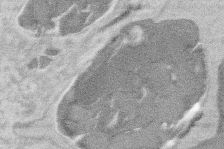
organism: Mouse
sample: T cell stromal cell synapse